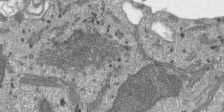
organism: Human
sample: Lung epithelial cells infected with SARS-CoV-2